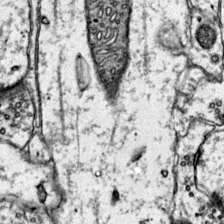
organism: Mouse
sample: Primary visual cortex